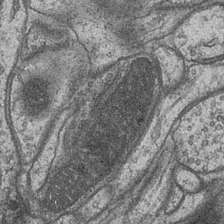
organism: Drosophila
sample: Optic medulla